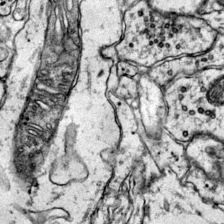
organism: Mouse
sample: Primary visual cortex